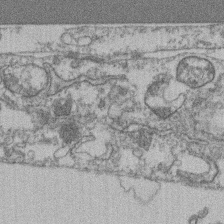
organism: Mouse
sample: T cell stromal cell synapse